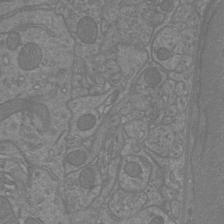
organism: Mouse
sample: Cortical neurons